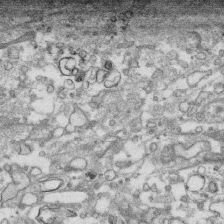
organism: Human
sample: CRL-1474